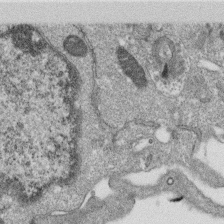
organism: African green monkey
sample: Vero E6 cells infected with SARS-CoV-2